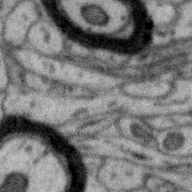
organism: Zebra finch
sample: Brain